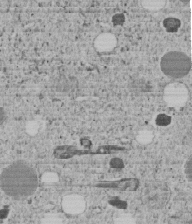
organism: C. elegans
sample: C. elegans embryo early stage